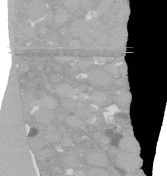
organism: C. elegans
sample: C. elegans oocyte; sperm cells